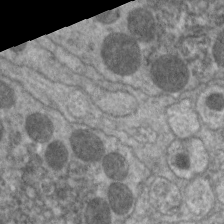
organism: C. elegans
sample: Pharynx